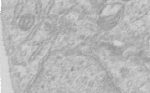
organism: Human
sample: Centriole in RPE cells